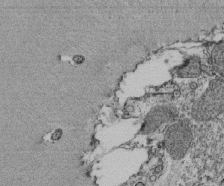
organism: Tetrahymena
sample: Cilia in tetrahymena